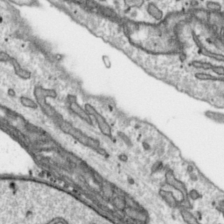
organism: Toxoplasma gondii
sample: Parasites in a vacuole inside a host cell